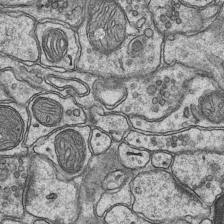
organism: Mouse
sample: CA1 Hippocampus